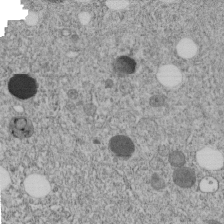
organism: C. elegans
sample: C. elegans embryo early stage